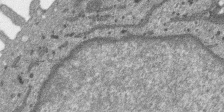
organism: Human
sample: Lung epithelial cells infected with SARS-CoV-2